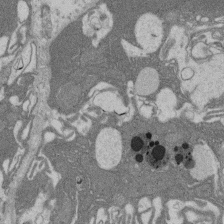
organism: Rat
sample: Salivary granule